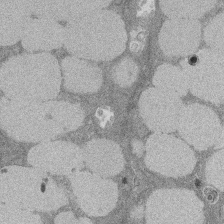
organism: Rat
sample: Salivary granule